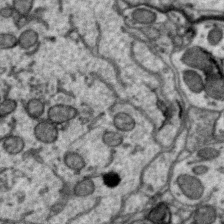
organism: Zebra finch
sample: Brain